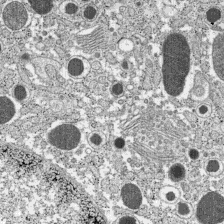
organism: C57BL Mouse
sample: Pancreatic islet